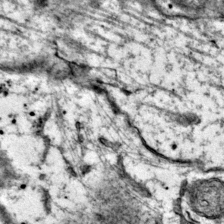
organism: Mouse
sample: Primary visual cortex